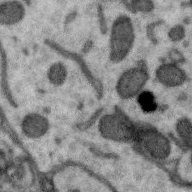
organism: Zebra finch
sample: Brain